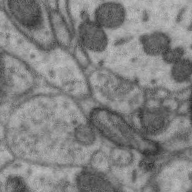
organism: Zebra finch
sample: Brain